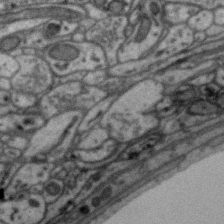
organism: Zebra finch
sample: Brain